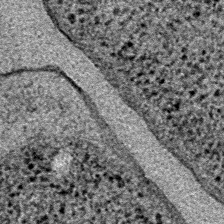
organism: E. coli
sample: E. Coli Bacteria